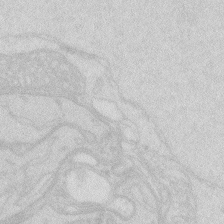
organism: Zebrafish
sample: Macrophage